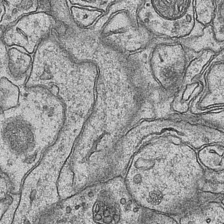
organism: Mouse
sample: CA1 Hippocampus